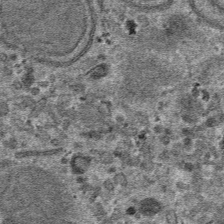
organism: Mouse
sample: Mouse hepatocytes